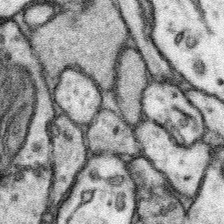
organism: Mouse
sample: Somatosensory cortex neuropil